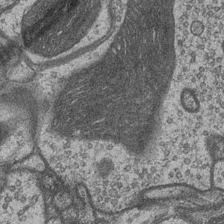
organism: Drosophila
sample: Optic medulla